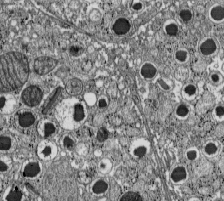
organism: C57BL Mouse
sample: Pancreatic islet